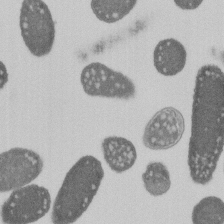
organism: E. coli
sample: Bacterial nucleoid